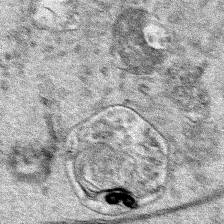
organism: Human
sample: Mitochondria in HCT116 cells